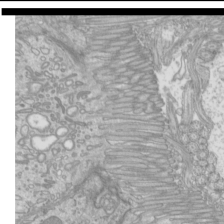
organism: Mouse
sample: Cilia; mouse epididymis